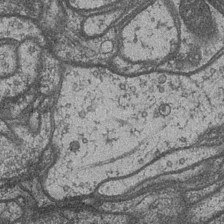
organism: Drosophila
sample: Optic medulla